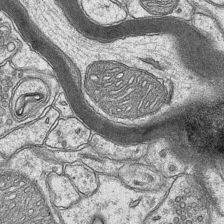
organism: Mouse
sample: CA1 Hippocampus